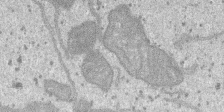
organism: Human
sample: Lung epithelial cells infected with SARS-CoV-2